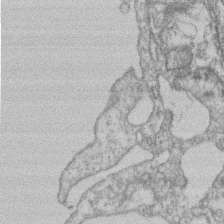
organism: Mouse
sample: T cell stromal cell synapse